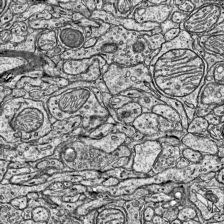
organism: Mouse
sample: Visual Cortex